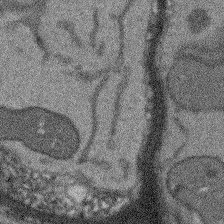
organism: Arabidopsis thaliana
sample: Root tip